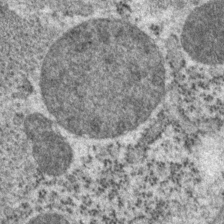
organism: P. pacificus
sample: Pharynx